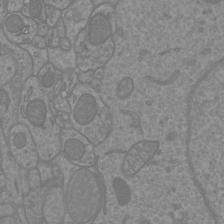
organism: Mouse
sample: Cortical neurons